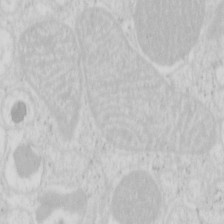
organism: Mouse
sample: Pancreas